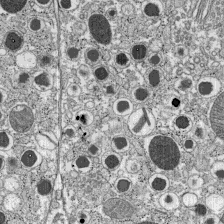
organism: C57BL Mouse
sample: Pancreatic islet